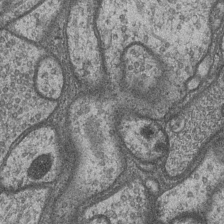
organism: Drosophila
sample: Optic medulla